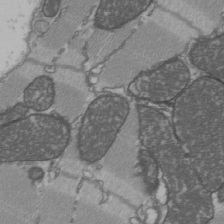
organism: C57BL Mouse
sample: Heart